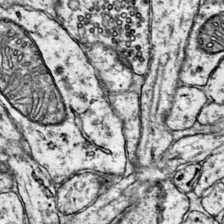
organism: Mouse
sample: Primary visual cortex